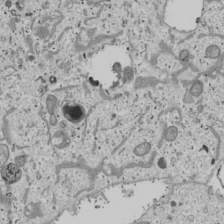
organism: Human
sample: Mitochondria in U2OS cells